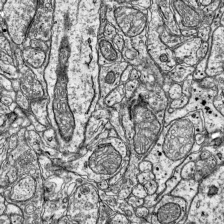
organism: Mouse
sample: Visual Cortex